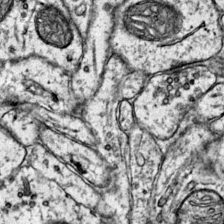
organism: Mouse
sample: Primary visual cortex